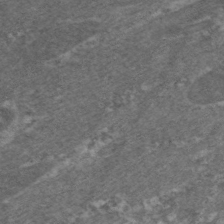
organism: C. elegans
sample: Pharynx